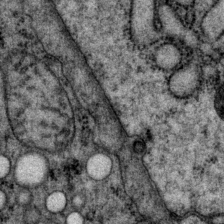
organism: P. pacificus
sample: Pharynx